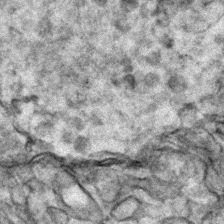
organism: Zebrafish